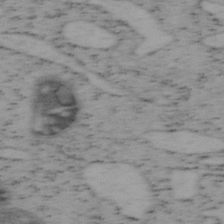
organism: Mouse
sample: OT-I killer T cells with ID8 ovarian cancer cells